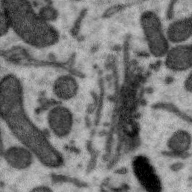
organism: Zebra finch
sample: Brain